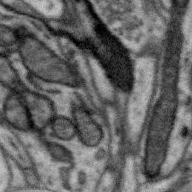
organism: Zebra finch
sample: Brain